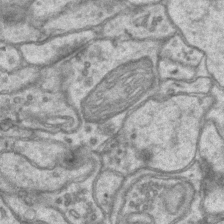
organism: Mouse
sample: CA1 Hippocampus